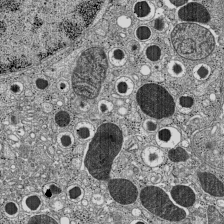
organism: C57BL Mouse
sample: Pancreatic islet